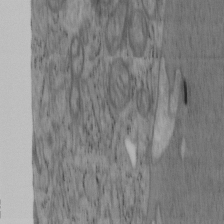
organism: Human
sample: HeLa cells